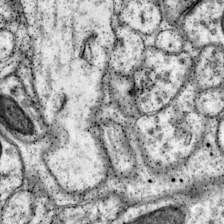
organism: Mouse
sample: Primary visual cortex